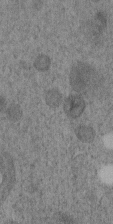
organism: C. elegans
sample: C. elegans embryo early stage